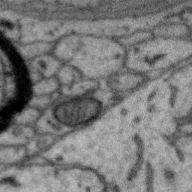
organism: Zebra finch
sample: Brain